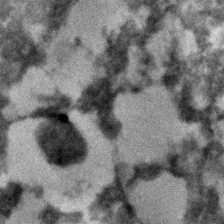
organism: C. elegans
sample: C. elegans embryo